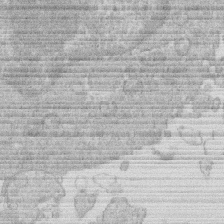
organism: Human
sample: Macrophage cells